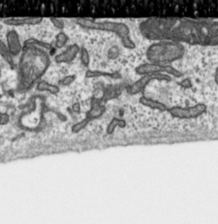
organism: Toxoplasma gondii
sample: Parasites in a vacuole inside a host cell